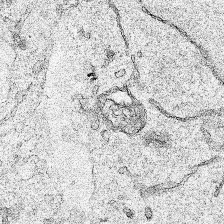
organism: Human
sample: Mitochondria in HCT116 cells